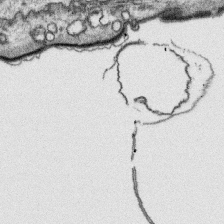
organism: Platynereis dumerilii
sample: Parapodia